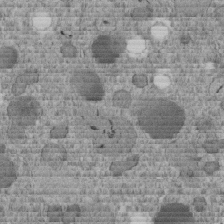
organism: C. elegans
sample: C. elegans embryo early stage